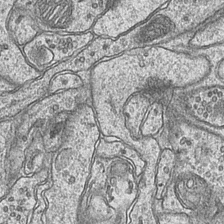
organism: Mouse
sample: CA1 Hippocampus